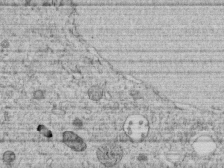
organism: C. elegans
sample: C. elegans embryo early stage